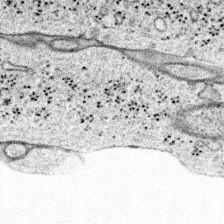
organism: Human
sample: HeLa cells